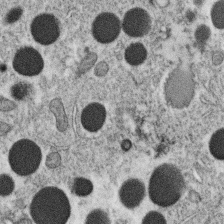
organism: C. elegans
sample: C. elegans oocyte; sperm cells